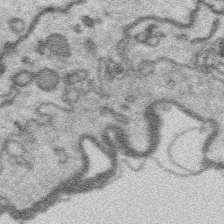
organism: Platynereis dumerilii